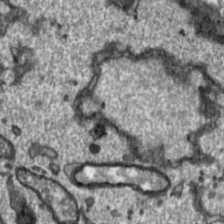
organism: Toxoplasma gondii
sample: Parasites in a vacuole inside a host cell